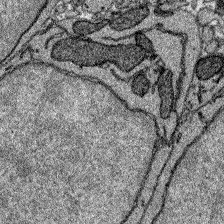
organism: Zebrafish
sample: Larval olfactory bulb